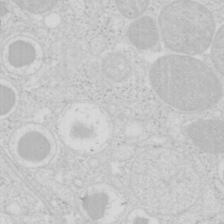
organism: Mouse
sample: Pancreas